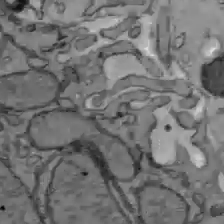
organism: C57BL Mouse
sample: Liver